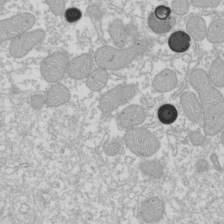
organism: Xenopus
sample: Cilia; centrioles in frog embryo cells